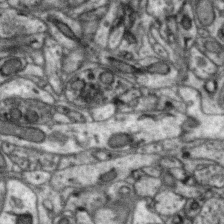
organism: Zebra finch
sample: Brain